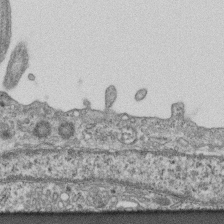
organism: Mouse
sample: Centriole in ependymal cells